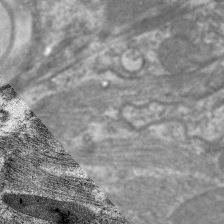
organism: C. elegans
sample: Pharynx